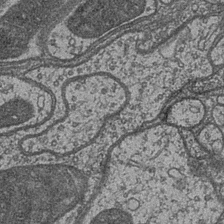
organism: Drosophila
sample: Optic medulla